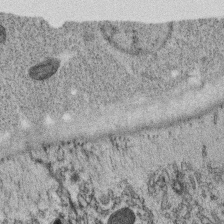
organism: C. elegans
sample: C. elegans oocyte; sperm cells